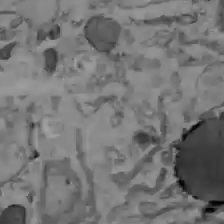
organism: C57BL Mouse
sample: Liver